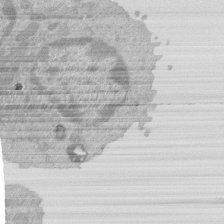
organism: Mouse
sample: Activated Pmel transgenic CD8+ T Cells